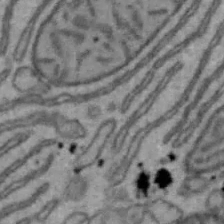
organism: Mouse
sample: Liver